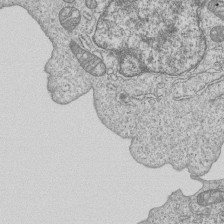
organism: Human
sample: MDA-MB-231 cells